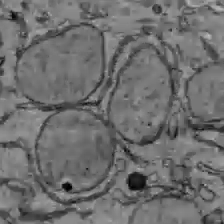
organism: C57BL Mouse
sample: Liver